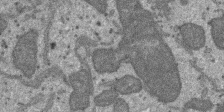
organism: Human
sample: Lung epithelial cells infected with SARS-CoV-2